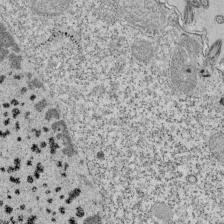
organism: Tetrahymena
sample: Cilia in tetrahymena